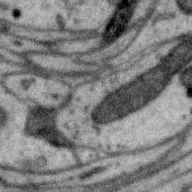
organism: Zebra finch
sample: Brain